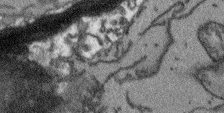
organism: Arabidopsis thaliana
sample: Root tip